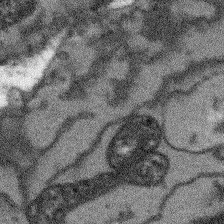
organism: Arabidopsis thaliana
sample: Root tip